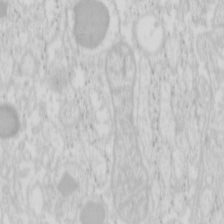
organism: Mouse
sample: Pancreas